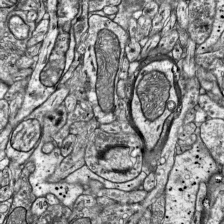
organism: Mouse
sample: Visual Cortex